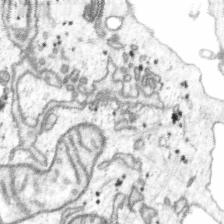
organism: Human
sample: HeLa cells